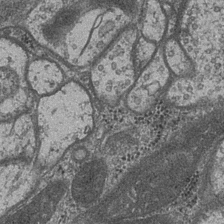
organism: Drosophila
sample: Optic medulla